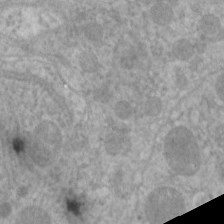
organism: C. elegans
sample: Pharynx